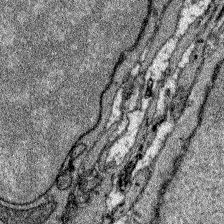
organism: Zebrafish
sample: Larval olfactory bulb